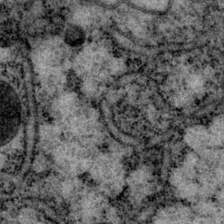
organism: P. pacificus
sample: Pharynx